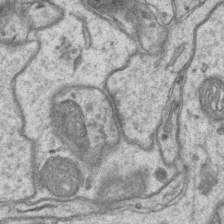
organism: Mouse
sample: CA1 Hippocampus